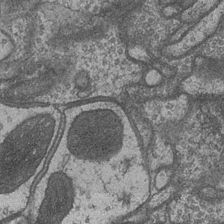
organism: Drosophila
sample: Optic medulla